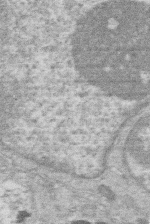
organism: Human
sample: Macrophage cells